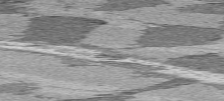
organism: C57BL Mouse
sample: Heart